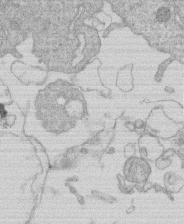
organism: Human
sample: Macrophage cells